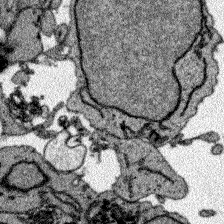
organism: Zebrafish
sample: Larval olfactory bulb